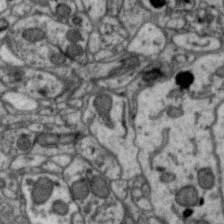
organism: Zebra finch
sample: Brain